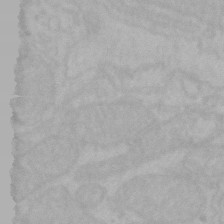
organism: Mouse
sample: Choroid plexus